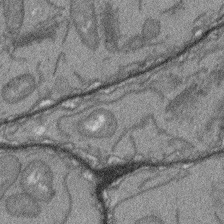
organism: Arabidopsis thaliana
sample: Root tip